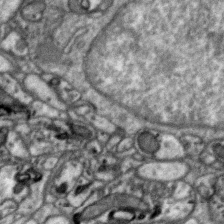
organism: Zebra finch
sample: Brain